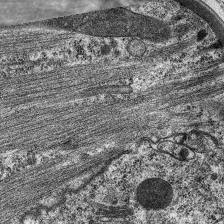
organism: C. elegans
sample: Pharynx